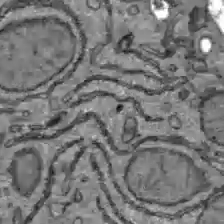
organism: C57BL Mouse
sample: Liver